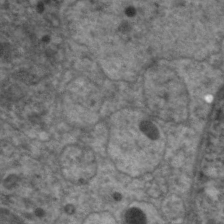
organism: C. elegans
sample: Pharynx